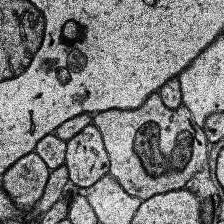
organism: Human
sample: Temporal Lobe